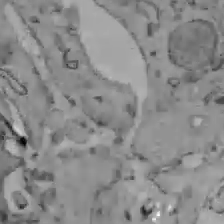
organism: C57BL Mouse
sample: Liver